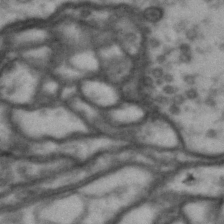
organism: Drosophila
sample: Brain